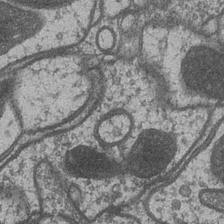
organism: Drosophila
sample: Optic medulla